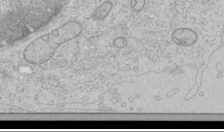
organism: Human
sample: Mitochondria in HCT116 cells